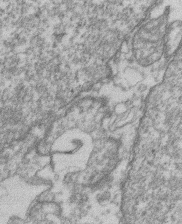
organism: Mouse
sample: T cell stromal cell synapse